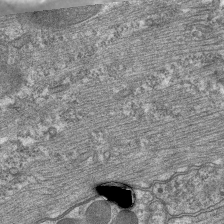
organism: C. elegans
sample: Pharynx